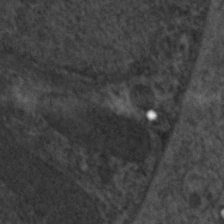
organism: C. elegans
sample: Pharynx